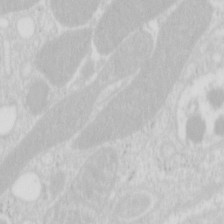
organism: Mouse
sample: Pancreas